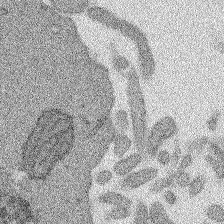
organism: Human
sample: HeLa cells